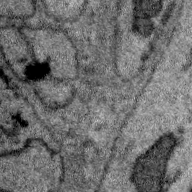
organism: Zebra finch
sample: Brain